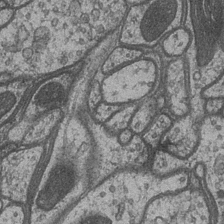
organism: Drosophila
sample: Optic medulla